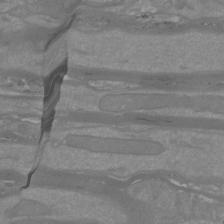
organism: Mouse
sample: Cortical neurons